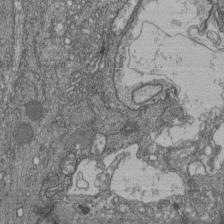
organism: Human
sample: Retinal organoid Rod and Cone cells